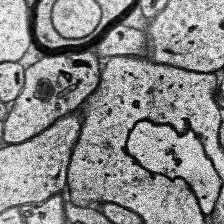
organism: Human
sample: Temporal Lobe